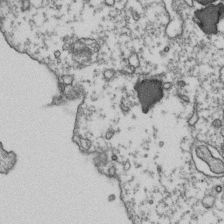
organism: Human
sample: Activated Jurkat CD4+ T cells